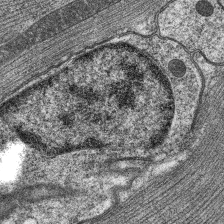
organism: C. elegans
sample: Pharynx